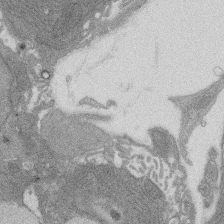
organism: Rat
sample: Salivary granule